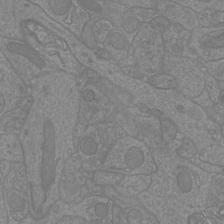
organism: Mouse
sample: Cortical neurons